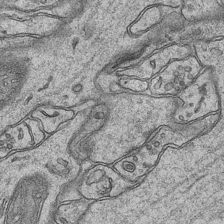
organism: Mouse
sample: CA1 Hippocampus